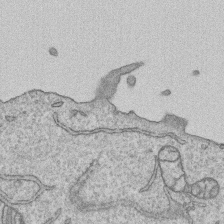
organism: Human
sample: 1205lu cells